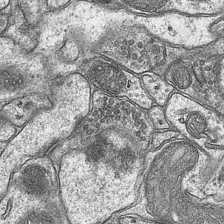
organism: Mouse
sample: CA1 Hippocampus